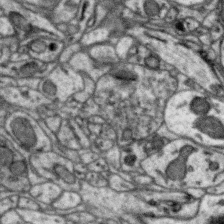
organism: Zebra finch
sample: Brain